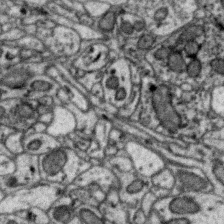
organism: Zebra finch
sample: Brain